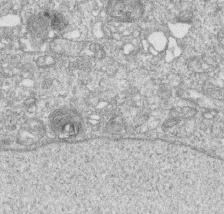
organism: Human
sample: HeLa cell HIV synapse